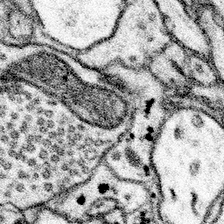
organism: Mouse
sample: Somatosensory cortex neuropil